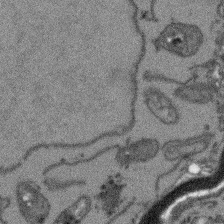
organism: Arabidopsis thaliana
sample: Root tip